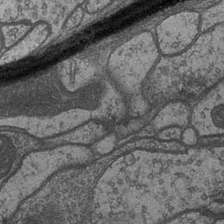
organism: Drosophila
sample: Optic medulla